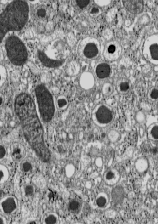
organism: C57BL Mouse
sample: Pancreatic islet